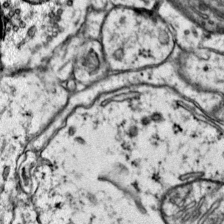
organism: Mouse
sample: Primary visual cortex